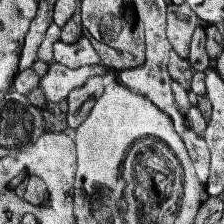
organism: Human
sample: Temporal Lobe